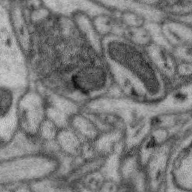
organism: Zebra finch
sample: Brain